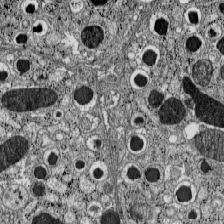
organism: C57BL Mouse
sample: Pancreatic islet